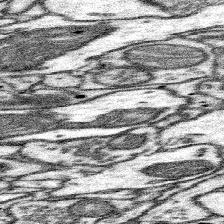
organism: Mouse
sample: Somatosensory cortex neuropil